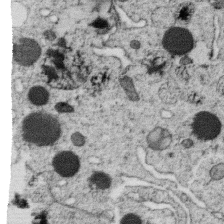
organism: C. elegans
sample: C. elegans oocyte; sperm cells